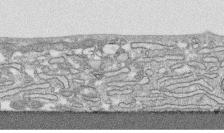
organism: Human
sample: CRL-1474